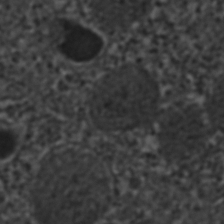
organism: C. elegans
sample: C. elegans embryo